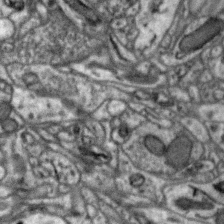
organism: Zebra finch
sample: Brain